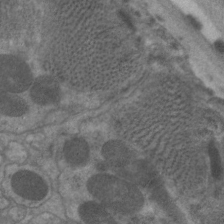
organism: C. elegans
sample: Pharynx